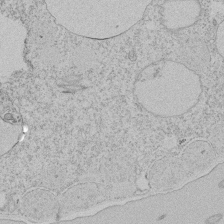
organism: Tetrahymena